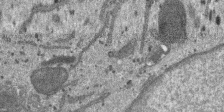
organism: Human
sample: Lung epithelial cells infected with SARS-CoV-2